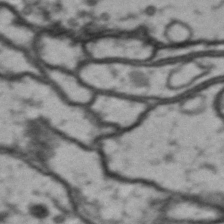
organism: Drosophila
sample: Brain